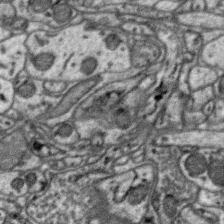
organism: Zebra finch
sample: Brain